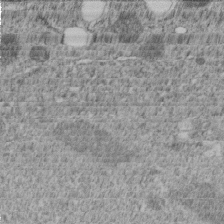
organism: C. elegans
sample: C. elegans embryo early stage